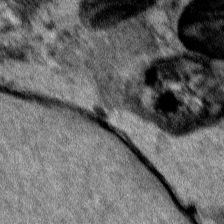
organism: Human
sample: Mitochondria in HCT116 cells